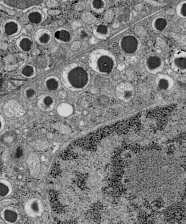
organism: C57BL Mouse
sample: Pancreatic islet